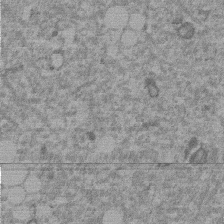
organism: Mouse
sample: Dividing mouse embryo 1 cell stage